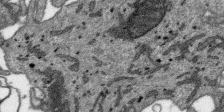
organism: Human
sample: Lung epithelial cells, uninfected (mock) control